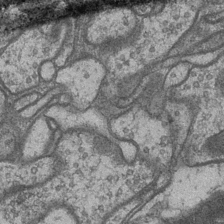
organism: Drosophila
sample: Optic medulla